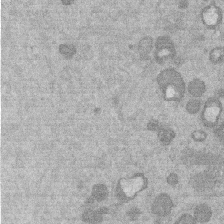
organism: Mouse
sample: Dividing mouse embryo 1 cell stage